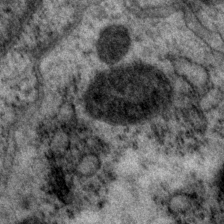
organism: P. pacificus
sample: Pharynx